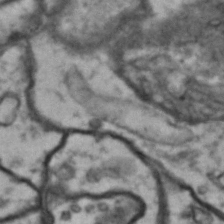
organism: Drosophila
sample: Brain